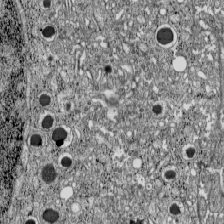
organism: C57BL Mouse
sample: Pancreatic islet